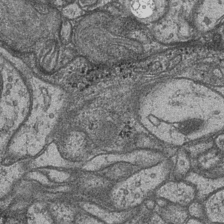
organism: Drosophila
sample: Optic medulla